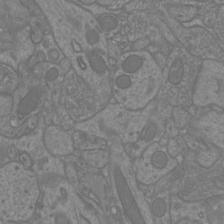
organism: Mouse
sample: Cortical neurons